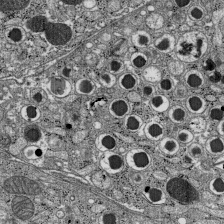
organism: C57BL Mouse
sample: Pancreatic islet